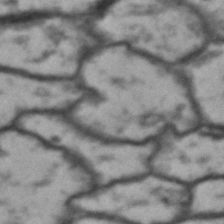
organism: Drosophila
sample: Brain